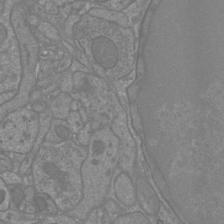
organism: Mouse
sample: Cortical neurons